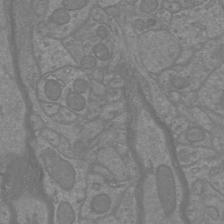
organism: Mouse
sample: Cortical neurons